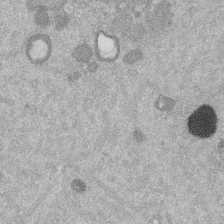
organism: Mouse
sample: Dividing mouse embryo 1 cell stage